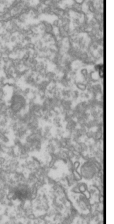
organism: Drosophila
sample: Cell division; meiosis; drosophila spermatocytes